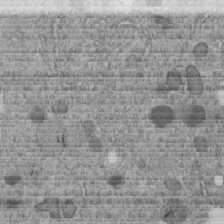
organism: C. elegans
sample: C. elegans embryo early stage